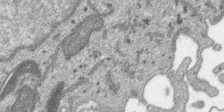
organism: Human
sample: Lung epithelial cells infected with SARS-CoV-2